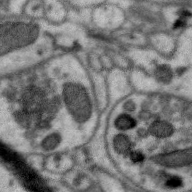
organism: Zebra finch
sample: Brain